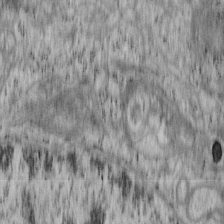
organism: Human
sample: HeLa cells